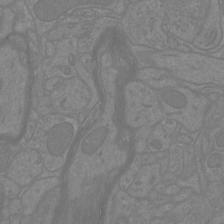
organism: Mouse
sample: Cortical neurons